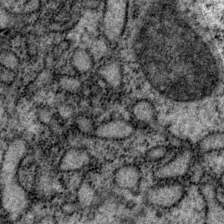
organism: P. pacificus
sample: Pharynx